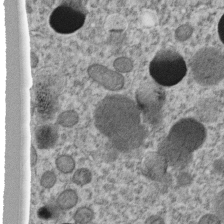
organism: C. elegans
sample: C. elegans embryo early stage